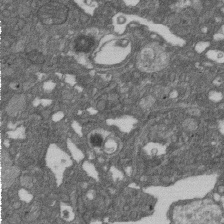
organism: Drosophila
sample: Nephrocyte